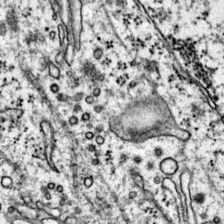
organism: Mouse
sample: Primary visual cortex